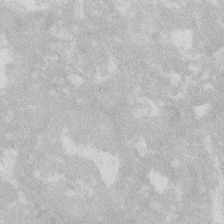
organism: Zebrafish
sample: Macrophage